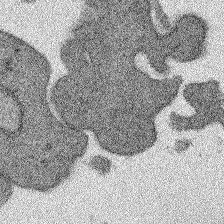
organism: Human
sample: HeLa cells